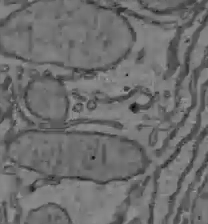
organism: C57BL Mouse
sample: Liver